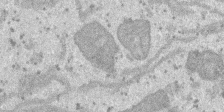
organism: Human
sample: Lung epithelial cells infected with SARS-CoV-2